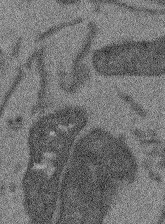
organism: Arabidopsis thaliana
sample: Root tip